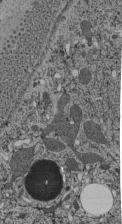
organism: C. elegans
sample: C. elegans pharynx